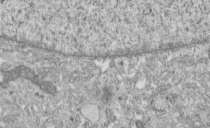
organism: Human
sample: Centriole in fibroblast cells